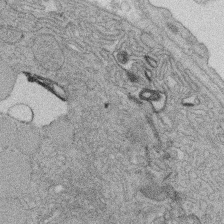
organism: Rat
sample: Salivary granule